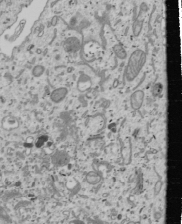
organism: Human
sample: Mitochondria in U2OS cells